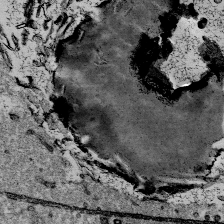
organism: Mouse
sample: Mouse Salivary gland